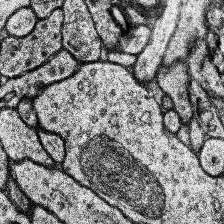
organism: Human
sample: Temporal Lobe